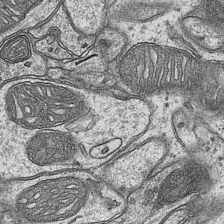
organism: Mouse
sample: CA1 Hippocampus